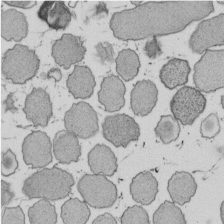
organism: E. coli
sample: Bacterial nucleoid